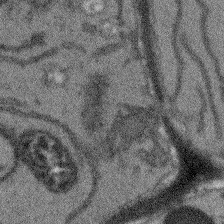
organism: Arabidopsis thaliana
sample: Root tip